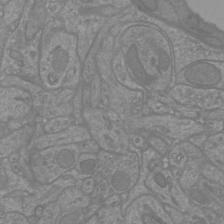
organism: Mouse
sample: Cortical neurons